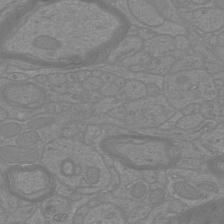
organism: Mouse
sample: Cortical neurons